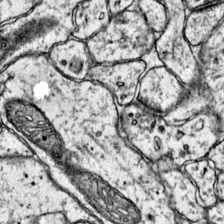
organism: Mouse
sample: Primary visual cortex